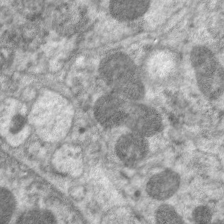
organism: C. elegans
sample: Pharynx